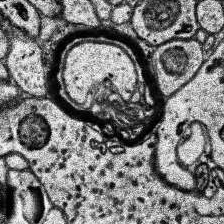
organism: Human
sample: Temporal Lobe